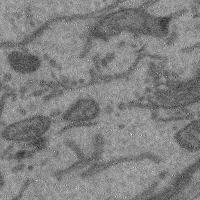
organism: Mouse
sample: Cerebral cortex